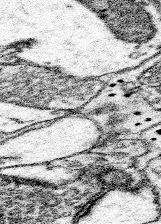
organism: Mouse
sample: Somatosensory cortex neuropil